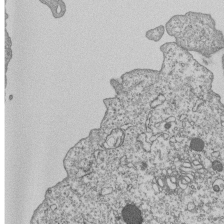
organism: Human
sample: MDA-MB-231 cells